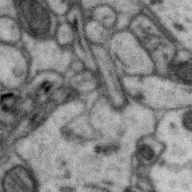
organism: Zebra finch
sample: Brain